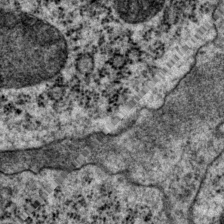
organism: P. pacificus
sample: Pharynx